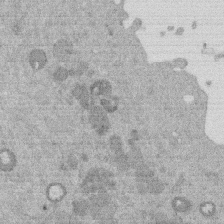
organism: Mouse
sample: Dividing mouse embryo 1 cell stage